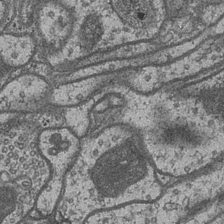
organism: Drosophila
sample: Optic medulla